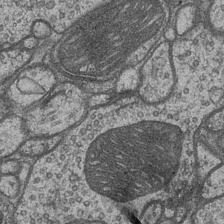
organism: Drosophila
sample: Optic medulla